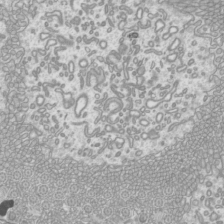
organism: Mouse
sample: Cilia; mouse epididymis